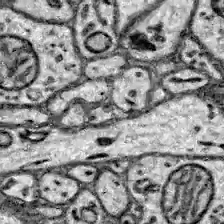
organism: Zebrafish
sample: Brain